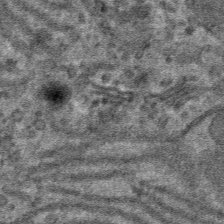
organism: Mouse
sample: Mouse hepatocytes